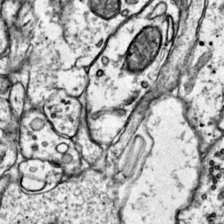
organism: Mouse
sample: Primary visual cortex